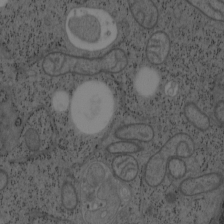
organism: Mouse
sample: OT-I killer T cells with ID8 ovarian cancer cells